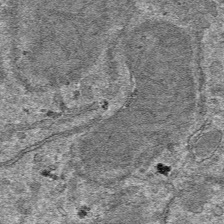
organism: Mouse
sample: Mouse hepatocytes